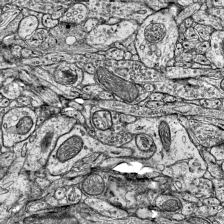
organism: Mouse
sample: Visual Cortex